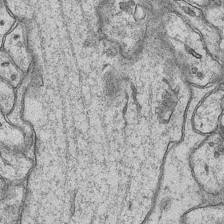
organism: Mouse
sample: CA1 Hippocampus